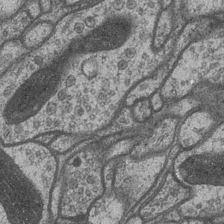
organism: Drosophila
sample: Optic medulla